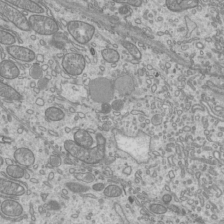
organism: Mouse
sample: Cilia; mouse epididymis